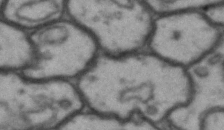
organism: Drosophila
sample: Brain